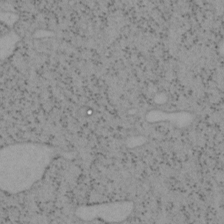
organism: Mouse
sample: OT-I killer T cells with ID8 ovarian cancer cells